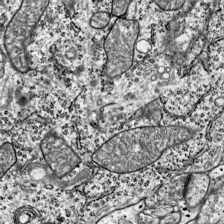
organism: Mouse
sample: Visual Cortex